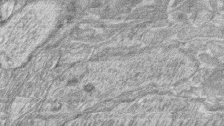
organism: Zebrafish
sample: synaptic ribbons in rod cells and cone cells